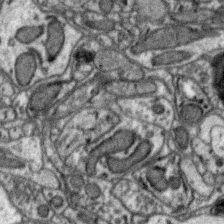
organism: Zebra finch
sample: Brain